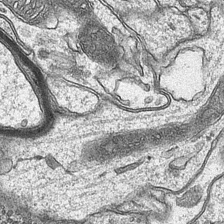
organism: Mouse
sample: CA1 Hippocampus